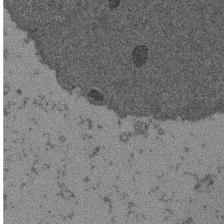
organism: Mouse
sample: Dividing mouse embryo 1 cell stage